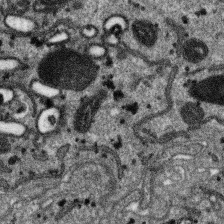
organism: Human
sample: Lung epithelial cells infected with SARS-CoV-2